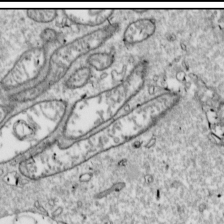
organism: Drosophila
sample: Cell division; meiosis; drosophila spermatocytes